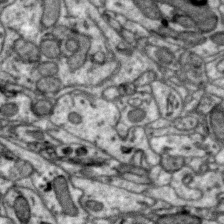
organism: Zebra finch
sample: Brain